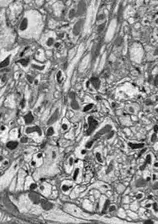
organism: Drosophila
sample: Optic lobe